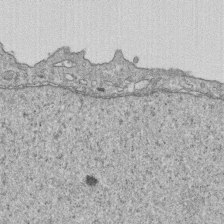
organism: Human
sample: HeLa cell HIV synapse